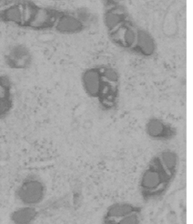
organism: Mouse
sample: OT-I killer T cells with ID8 ovarian cancer cells